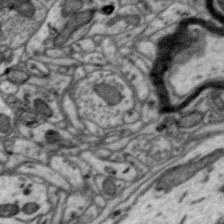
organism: Zebra finch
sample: Brain